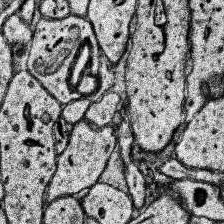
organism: Human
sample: Temporal Lobe